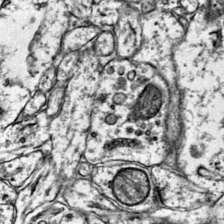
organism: Mouse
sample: Primary visual cortex